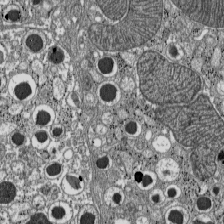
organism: C57BL Mouse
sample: Pancreatic islet